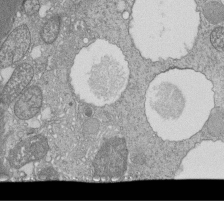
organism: Tetrahymena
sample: Cilia in tetrahymena